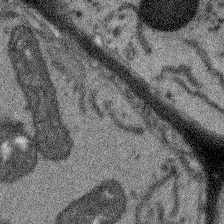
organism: Arabidopsis thaliana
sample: Root tip